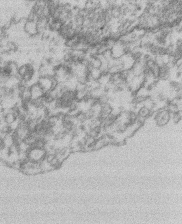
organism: Mouse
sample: T cell stromal cell synapse